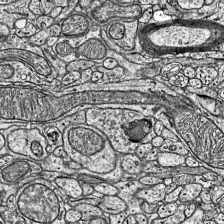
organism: Mouse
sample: Visual Cortex